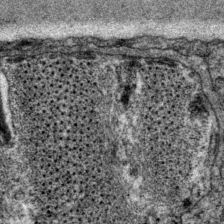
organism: P. pacificus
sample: Pharynx